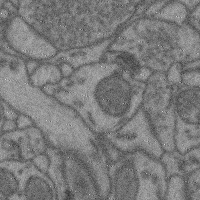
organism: Mouse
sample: Cerebral cortex